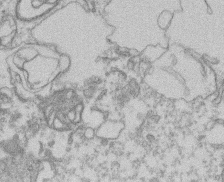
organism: Mouse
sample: T cell stromal cell synapse